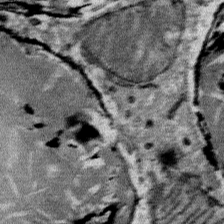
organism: Mouse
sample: Mouse Salivary gland